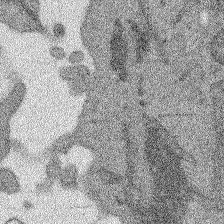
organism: Human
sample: HeLa cells